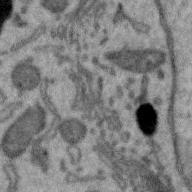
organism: Zebra finch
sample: Brain